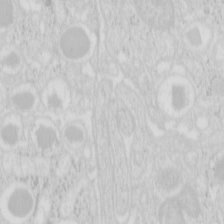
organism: Mouse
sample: Pancreas